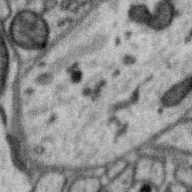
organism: Zebra finch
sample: Brain